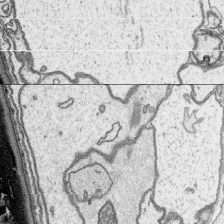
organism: Platynereis dumerilii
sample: Parapodia